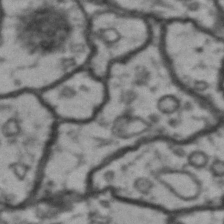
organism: Drosophila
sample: Brain